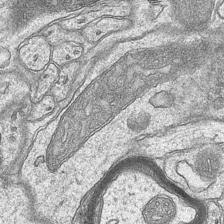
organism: Mouse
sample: CA1 Hippocampus